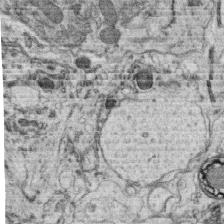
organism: C. elegans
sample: C. elegans oocyte; sperm cells